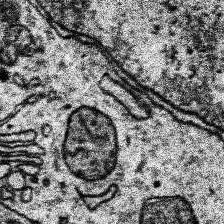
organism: Human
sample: Temporal Lobe